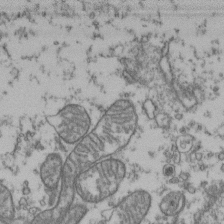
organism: Human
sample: Activated Jurkat CD4+ T cells